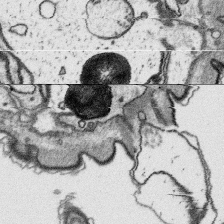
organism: Platynereis dumerilii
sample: Parapodia